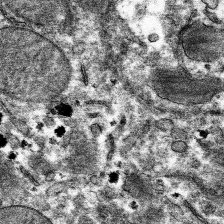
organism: Mouse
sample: Mouse hepatocytes